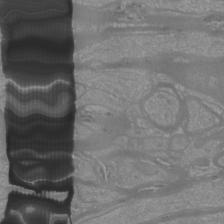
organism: Mouse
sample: Cortical neurons